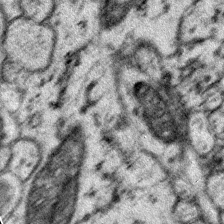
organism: Mouse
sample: Primary visual cortex